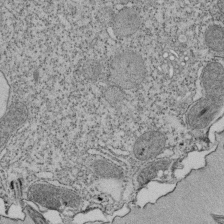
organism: Tetrahymena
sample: Cilia in tetrahymena